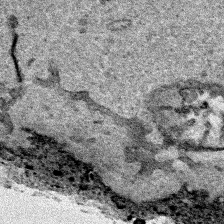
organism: Human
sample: Mitochondria in HCT116 cells